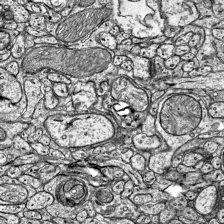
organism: Mouse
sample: Visual Cortex